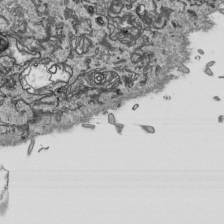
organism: Human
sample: Mitochondria in HCT116 cells